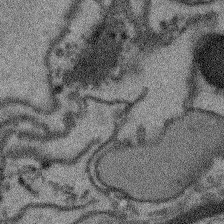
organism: Arabidopsis thaliana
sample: Root tip